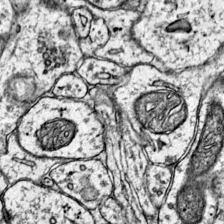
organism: Mouse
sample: Primary visual cortex